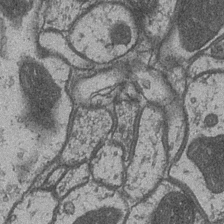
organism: Drosophila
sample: Optic medulla